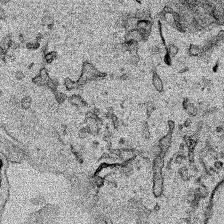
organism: Human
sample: Mitochondria in HCT116 cells